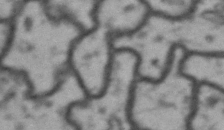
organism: Drosophila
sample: Brain